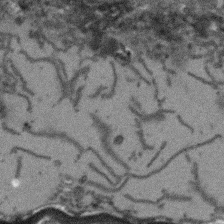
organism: Arabidopsis thaliana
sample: Root tip